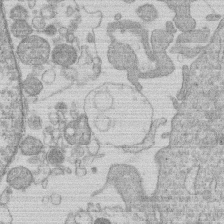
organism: Human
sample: Macrophage cells